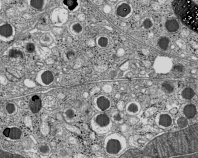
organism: C57BL Mouse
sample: Pancreatic islet